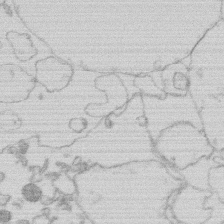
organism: Human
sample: Macrophage cells